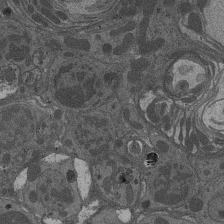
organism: Drosophila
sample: Antenna